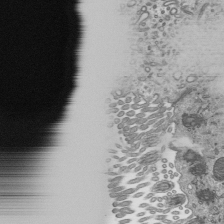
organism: Mouse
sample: Mouse epididymis efferent ductule cilia